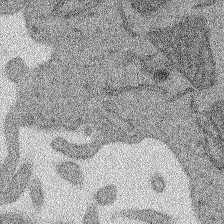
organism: Human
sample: HeLa cells